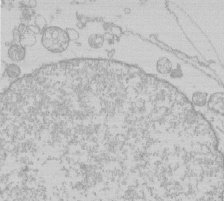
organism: Human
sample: Macrophage cells